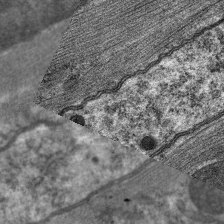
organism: C. elegans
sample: Pharynx